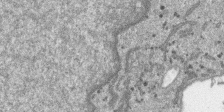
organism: Human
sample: Lung epithelial cells infected with SARS-CoV-2